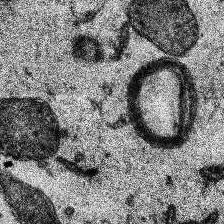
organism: Human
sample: Temporal Lobe